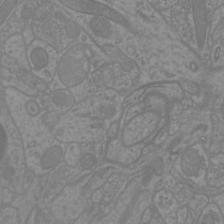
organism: Mouse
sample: Cortical neurons